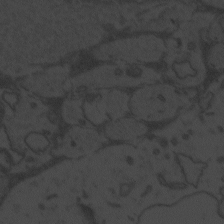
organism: Zebrafish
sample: Macrophage infected with Toxoplasma gondii